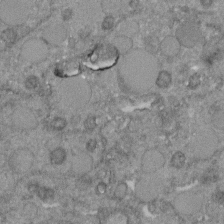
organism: C. elegans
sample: C. elegans embryo early stage